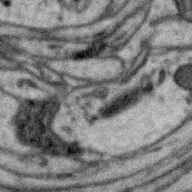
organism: Zebra finch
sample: Brain